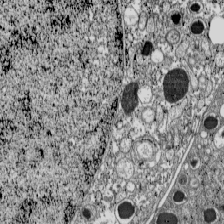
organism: C57BL Mouse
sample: Pancreatic islet